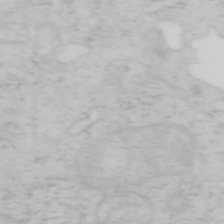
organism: Mouse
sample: OT-I killer T cells with ID8 ovarian cancer cells